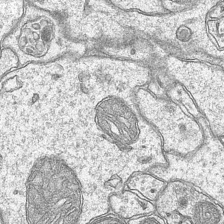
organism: Mouse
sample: CA1 Hippocampus